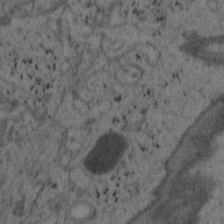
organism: Human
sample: HeLa cells